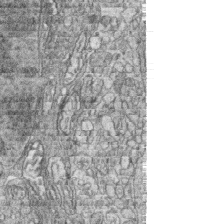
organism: Zebrafish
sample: synaptic ribbons in rod cells and cone cells